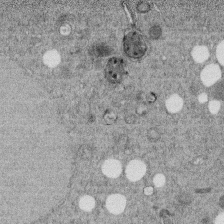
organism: C. elegans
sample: C. elegans embryo early stage